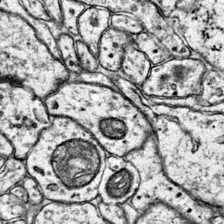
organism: Mouse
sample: Primary visual cortex